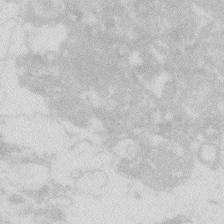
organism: Zebrafish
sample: Macrophage